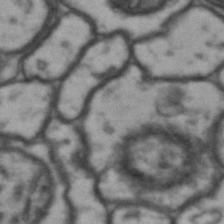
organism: Drosophila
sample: Brain